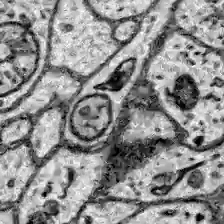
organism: Zebrafish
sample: Brain